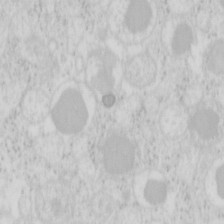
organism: Mouse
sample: Pancreas